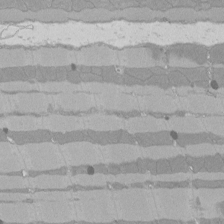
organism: Rat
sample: Left ventricle